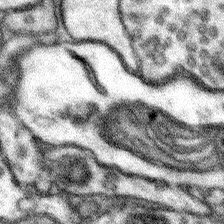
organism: Mouse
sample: Somatosensory cortex neuropil